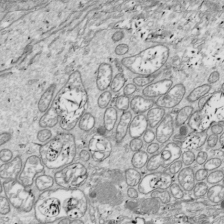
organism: Drosophila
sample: Cell division; meiosis; drosophila spermatocytes